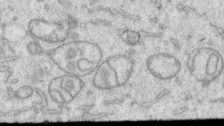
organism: Human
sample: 1205lu cells